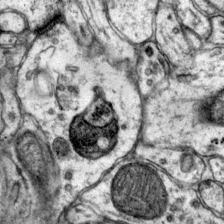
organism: Mouse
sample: Primary visual cortex